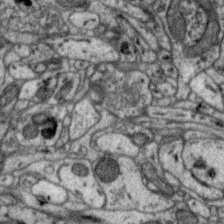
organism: Zebra finch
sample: Brain